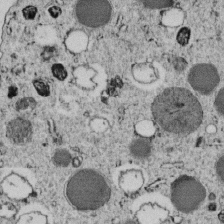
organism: C. elegans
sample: C. elegans embryo early stage